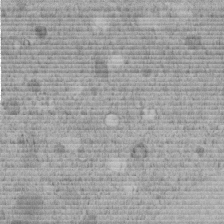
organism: C. elegans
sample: C. elegans embryo early stage